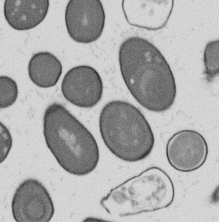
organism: B. subtilis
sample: Bacterial spore